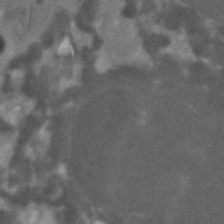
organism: C. elegans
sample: C. elegans embryo